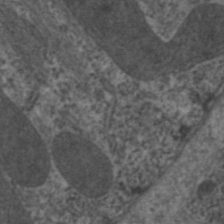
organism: C. elegans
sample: Pharynx